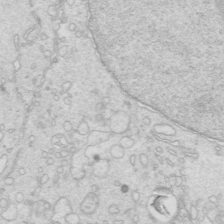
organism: Mouse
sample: Multiciliated cells